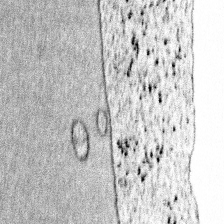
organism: Human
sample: HeLa cells